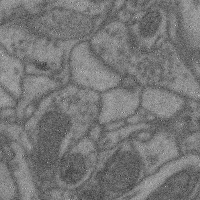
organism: Mouse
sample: Cerebral cortex